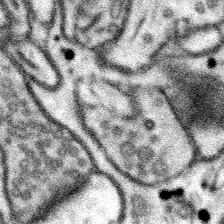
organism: Mouse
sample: Somatosensory cortex neuropil